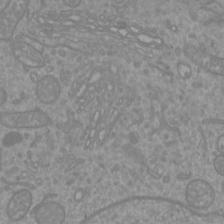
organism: Mouse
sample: Cortical neurons